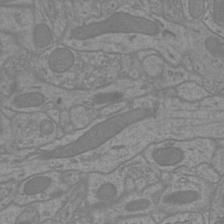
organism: Mouse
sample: Cortical neurons